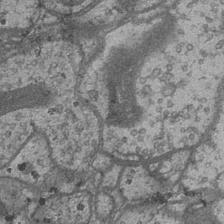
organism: Drosophila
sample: Optic medulla